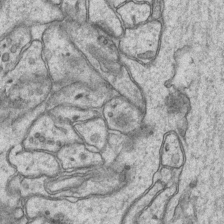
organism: Mouse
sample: CA1 Hippocampus